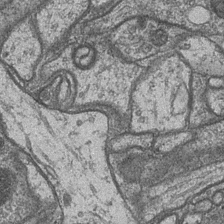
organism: Drosophila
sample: Optic medulla